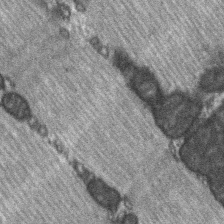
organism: C57BL Mouse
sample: Soleus